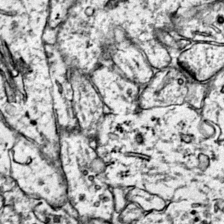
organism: Mouse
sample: Primary visual cortex